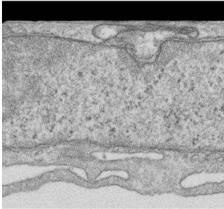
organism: Human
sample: Centriole in RPE cells